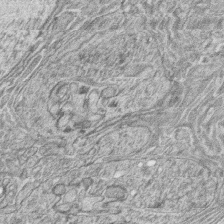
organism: Zebrafish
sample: synaptic ribbons in rod cells and cone cells